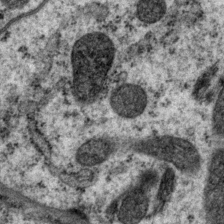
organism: P. pacificus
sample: Pharynx